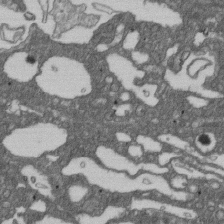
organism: Drosophila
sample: Nephrocyte